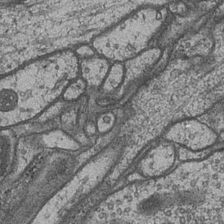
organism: Drosophila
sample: Optic medulla